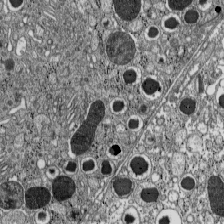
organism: C57BL Mouse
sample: Pancreatic islet